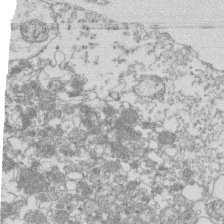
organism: Human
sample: HeLa cell HIV synapse